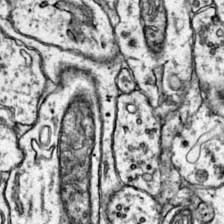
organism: Mouse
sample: Primary visual cortex